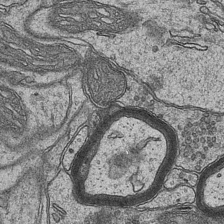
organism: Mouse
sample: CA1 Hippocampus